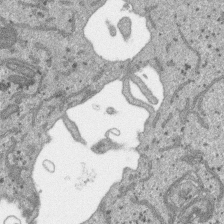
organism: Human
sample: Lung epithelial cells infected with SARS-CoV-2